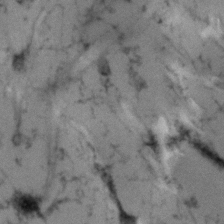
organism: Human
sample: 1205lu cells